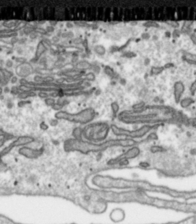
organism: Toxoplasma gondii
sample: Parasites in a vacuole inside a host cell